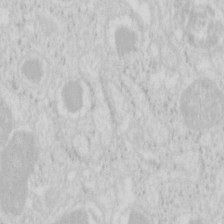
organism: Mouse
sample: Pancreas